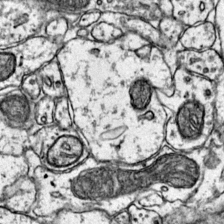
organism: Mouse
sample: Primary visual cortex